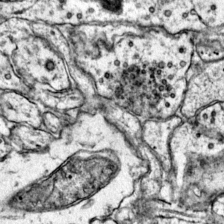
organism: Mouse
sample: Primary visual cortex